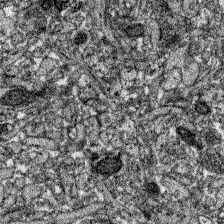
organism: Zebrafish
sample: Larval olfactory bulb